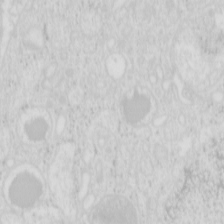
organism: Mouse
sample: Pancreas